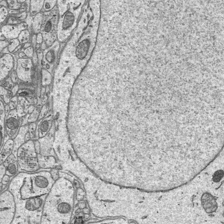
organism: Mouse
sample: Suprachiasmatic nucleus